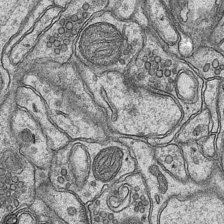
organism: Mouse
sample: CA1 Hippocampus